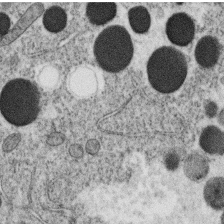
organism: C. elegans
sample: C. elegans oocyte; sperm cells